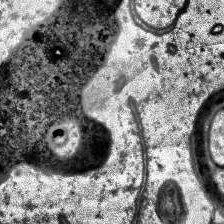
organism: Human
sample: Temporal Lobe